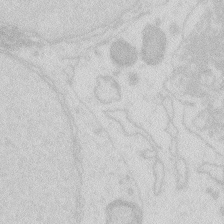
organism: Zebrafish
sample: Macrophage